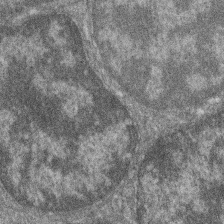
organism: Zebrafish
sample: Cilia; retinal pigment epithelium